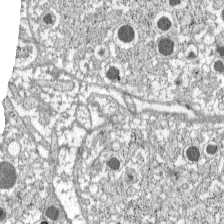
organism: C57BL Mouse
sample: Pancreatic islet